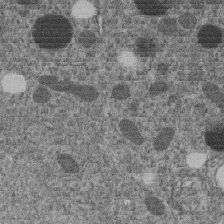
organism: C. elegans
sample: C. elegans embryo early stage